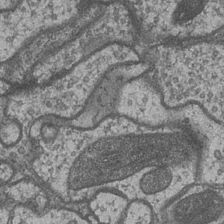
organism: Drosophila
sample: Optic medulla